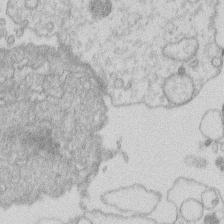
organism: Human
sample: Macrophage cells